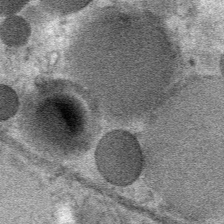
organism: Mouse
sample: Mouse Salivary gland